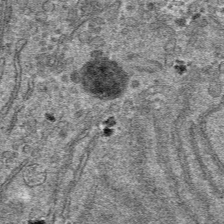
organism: Mouse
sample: Mouse hepatocytes